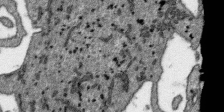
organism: Human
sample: Lung epithelial cells, uninfected (mock) control